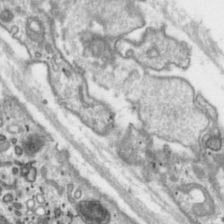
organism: Toxoplasma gondii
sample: Parasites in a vacuole inside a host cell